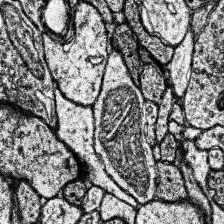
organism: Human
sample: Temporal Lobe